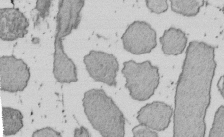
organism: E. coli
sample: Bacterial nucleoid